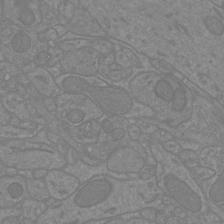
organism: Mouse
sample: Cortical neurons